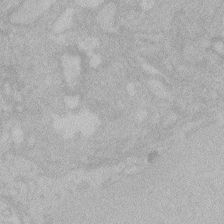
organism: Zebrafish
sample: Macrophage infected with Toxoplasma gondii